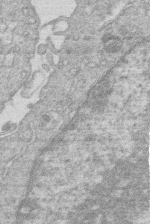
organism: Human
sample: Macrophage cells